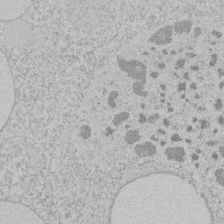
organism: Tetrahymena